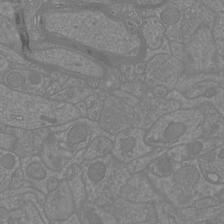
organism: Mouse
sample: Cortical neurons